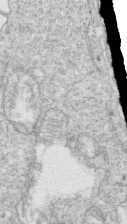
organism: Human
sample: HeLa cell HIV synapse